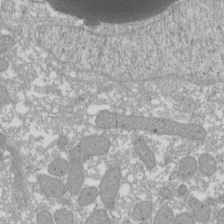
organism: Xenopus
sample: Cilia; centrioles in frog embryo cells